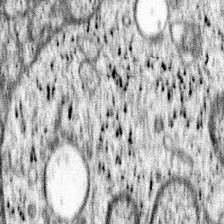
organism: Human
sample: HeLa cells